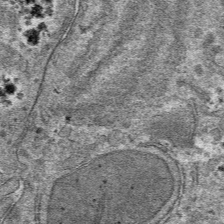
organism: Mouse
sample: Mouse hepatocytes